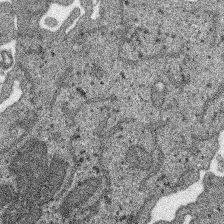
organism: Human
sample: Lung epithelial cells infected with SARS-CoV-2